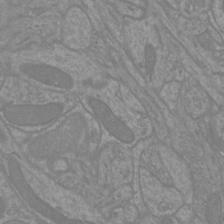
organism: Mouse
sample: Cortical neurons